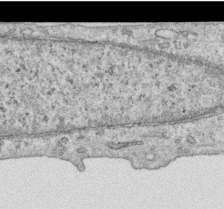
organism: Human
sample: Centriole in RPE cells